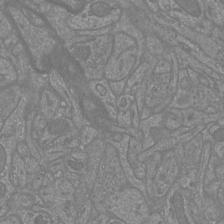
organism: Mouse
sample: Cortical neurons